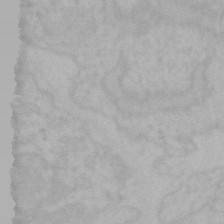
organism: Mouse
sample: Choroid plexus